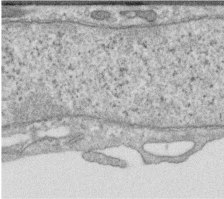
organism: Human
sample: Centriole in RPE cells